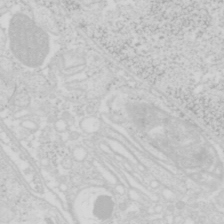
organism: Mouse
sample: Pancreas